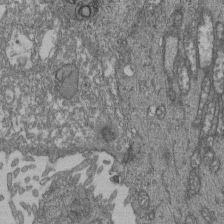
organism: Human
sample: Retinal organoid Rod and Cone cells